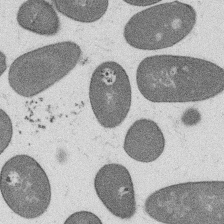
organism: B. subtilis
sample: Bacterial spore